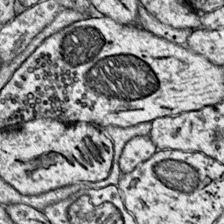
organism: Mouse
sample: Primary visual cortex